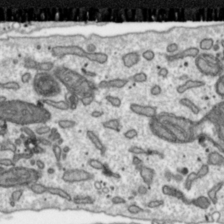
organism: Toxoplasma gondii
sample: Parasites in a vacuole inside a host cell